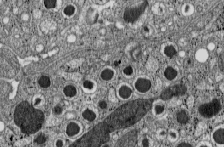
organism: C57BL Mouse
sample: Pancreatic islet